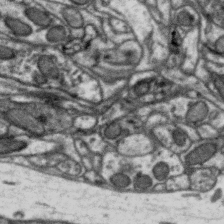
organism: Zebra finch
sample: Brain